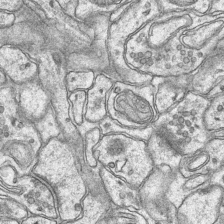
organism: Mouse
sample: CA1 Hippocampus